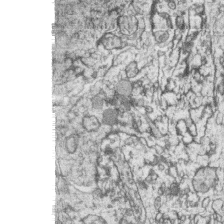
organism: Zebrafish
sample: synaptic ribbons in rod cells and cone cells